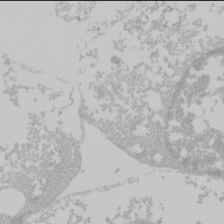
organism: Mouse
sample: Cancer cell death in ED-1 cells